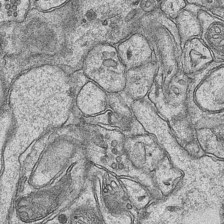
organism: Mouse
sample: CA1 Hippocampus